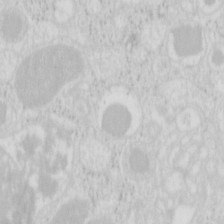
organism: Mouse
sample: Pancreas